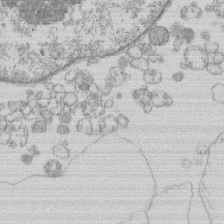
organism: Human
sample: Macrophage cells